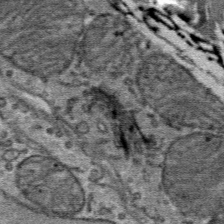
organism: Mouse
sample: Mouse Salivary gland